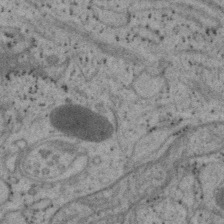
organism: Human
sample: HeLa cells